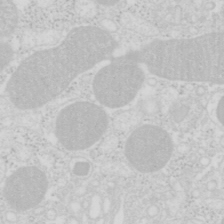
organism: Mouse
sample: Pancreas